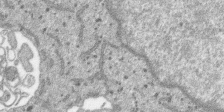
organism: Human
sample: Lung epithelial cells infected with SARS-CoV-2